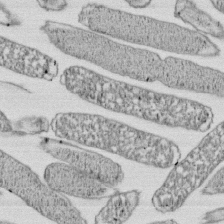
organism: E. coli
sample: Bacterial nucleoid